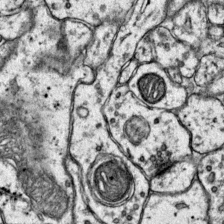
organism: Mouse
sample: Primary visual cortex